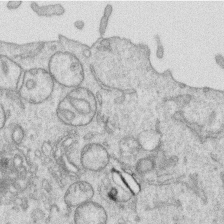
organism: Human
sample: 1205lu cells